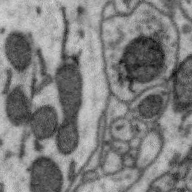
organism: Zebra finch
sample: Brain